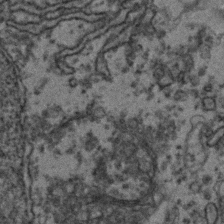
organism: Zebrafish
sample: Zebrafish embryo